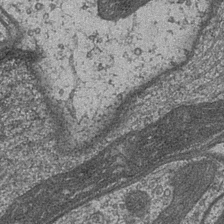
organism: Drosophila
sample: Optic medulla